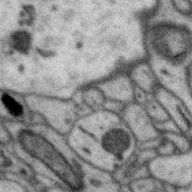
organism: Zebra finch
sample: Brain